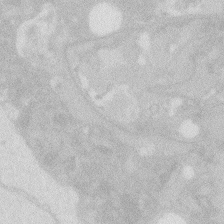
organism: Zebrafish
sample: Macrophage